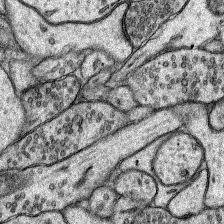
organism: Rat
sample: Hippocampus